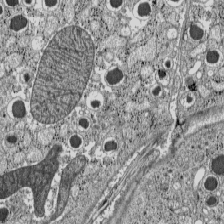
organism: C57BL Mouse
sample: Pancreatic islet